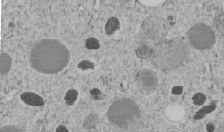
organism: C. elegans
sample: C. elegans embryo early stage